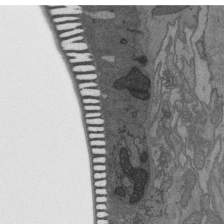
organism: C. elegans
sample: AFD neurons C. elegans